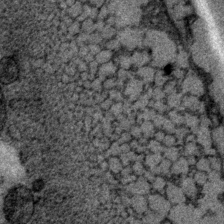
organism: P. pacificus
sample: Pharynx